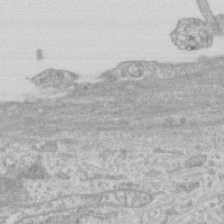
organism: Human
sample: CRL-1474